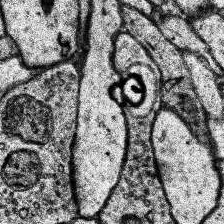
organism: Human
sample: Temporal Lobe